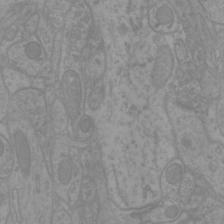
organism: Mouse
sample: Cortical neurons